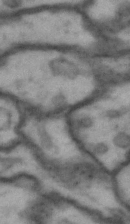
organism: Drosophila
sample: Brain